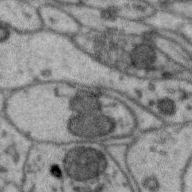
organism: Zebra finch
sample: Brain